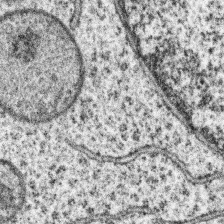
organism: Human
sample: HeLa cells